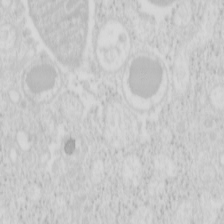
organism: Mouse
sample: Pancreas